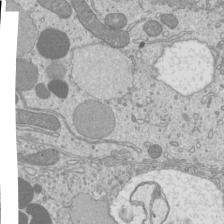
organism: Mouse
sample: Cilia; mouse epididymis